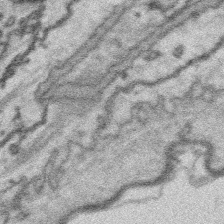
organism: Platynereis dumerilii